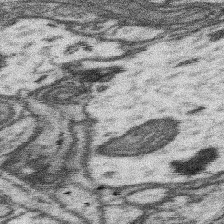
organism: Mouse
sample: Somatosensory cortex neuropil